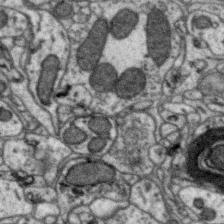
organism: Zebra finch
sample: Brain